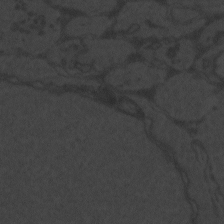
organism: Zebrafish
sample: Macrophage infected with Toxoplasma gondii